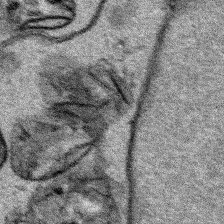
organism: Human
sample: Mitochondria in HCT116 cells